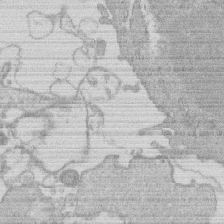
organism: Human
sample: Macrophage cells